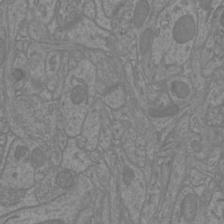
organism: Mouse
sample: Cortical neurons